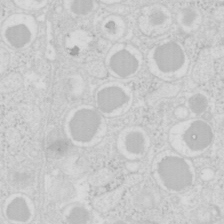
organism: Mouse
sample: Pancreas